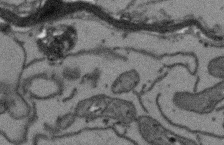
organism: Arabidopsis thaliana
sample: Root tip